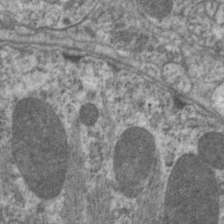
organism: C. elegans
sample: Pharynx